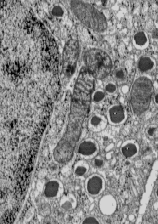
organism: C57BL Mouse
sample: Pancreatic islet